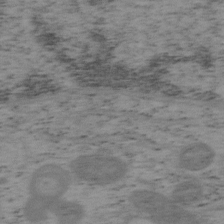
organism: Mouse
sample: OT-I killer T cells with ID8 ovarian cancer cells